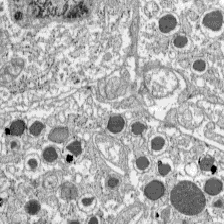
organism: C57BL Mouse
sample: Pancreatic islet